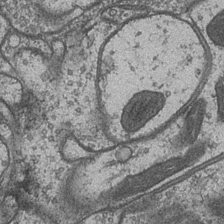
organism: Drosophila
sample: Optic medulla